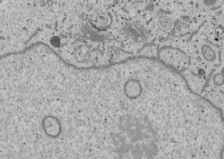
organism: Human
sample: Mitochondria in U2OS cells